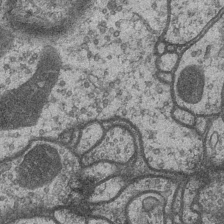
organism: Drosophila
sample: Optic medulla